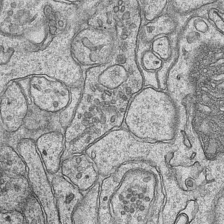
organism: Mouse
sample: CA1 Hippocampus